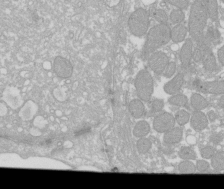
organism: Xenopus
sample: Cilia; centrioles in frog embryo cells